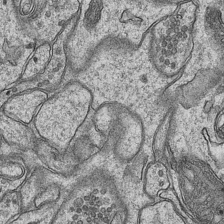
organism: Mouse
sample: CA1 Hippocampus